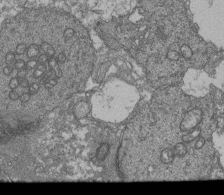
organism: Human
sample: Retinal organoid Rod and Cone cells